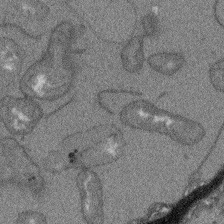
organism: Arabidopsis thaliana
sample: Root tip